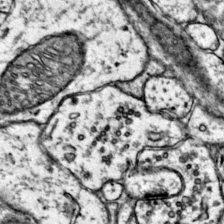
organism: Mouse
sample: Primary visual cortex